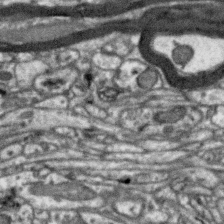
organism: Zebra finch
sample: Brain